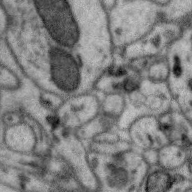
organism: Zebra finch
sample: Brain